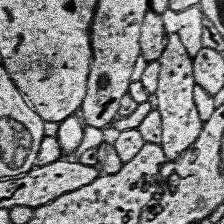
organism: Human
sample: Temporal Lobe